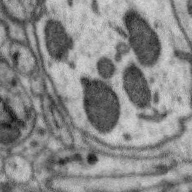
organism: Zebra finch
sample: Brain